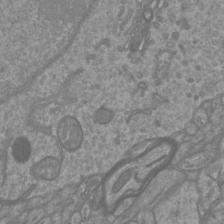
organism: Mouse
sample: Cortical neurons